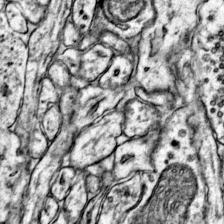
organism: Mouse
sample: Primary visual cortex